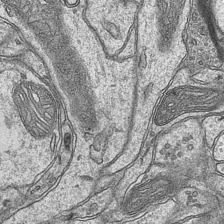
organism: Mouse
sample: CA1 Hippocampus